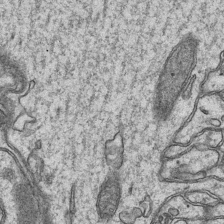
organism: Mouse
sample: CA1 Hippocampus